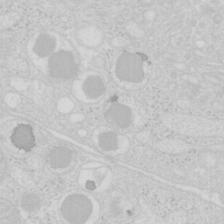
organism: Mouse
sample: Pancreas